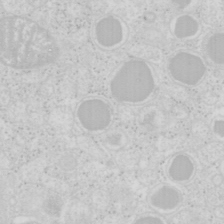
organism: Mouse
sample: Pancreas